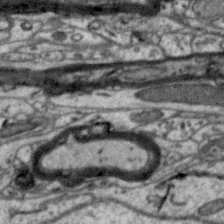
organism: Zebra finch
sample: Brain